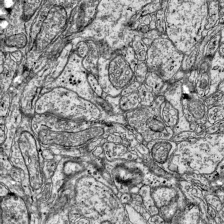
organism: Mouse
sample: Visual Cortex